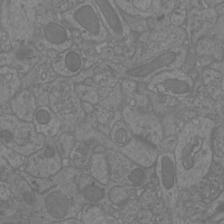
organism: Mouse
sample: Cortical neurons